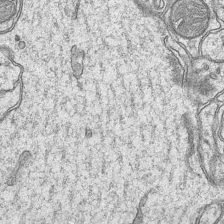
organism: Mouse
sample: CA1 Hippocampus